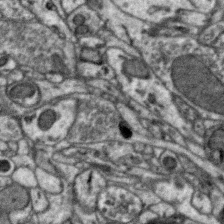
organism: Zebra finch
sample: Brain